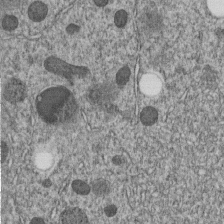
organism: C. elegans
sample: C. elegans embryo early stage